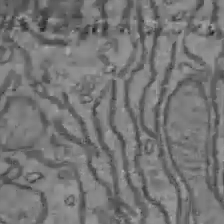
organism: C57BL Mouse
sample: Liver